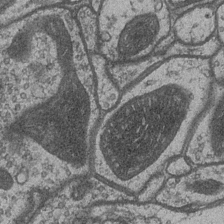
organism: Drosophila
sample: Optic medulla